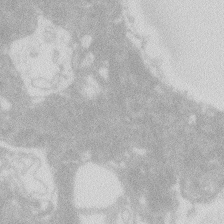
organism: Zebrafish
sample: Macrophage